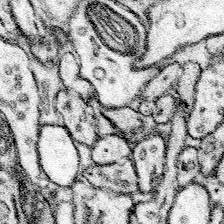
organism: Mouse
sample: Somatosensory cortex neuropil